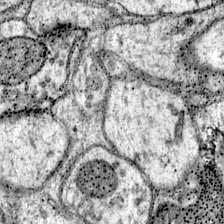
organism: Mouse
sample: Primary visual cortex